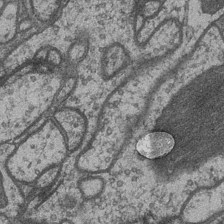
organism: Drosophila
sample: Optic medulla